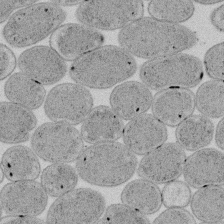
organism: E. coli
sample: Bacterial nucleoid